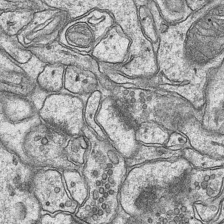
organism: Mouse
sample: CA1 Hippocampus